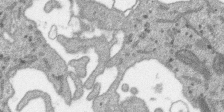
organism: Human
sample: Lung epithelial cells infected with SARS-CoV-2